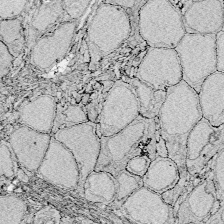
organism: Zebrafish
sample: Whole-Brain